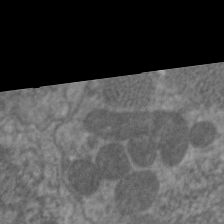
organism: C. elegans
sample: Pharynx